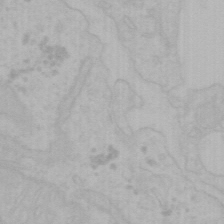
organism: Mouse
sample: Choroid plexus